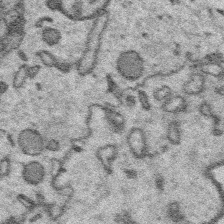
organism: Platynereis dumerilii